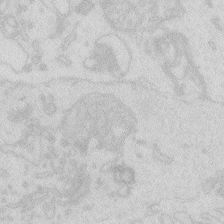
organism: Zebrafish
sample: Macrophage